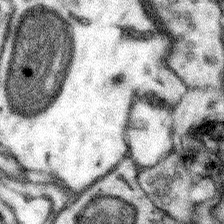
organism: Mouse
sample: Somatosensory cortex neuropil